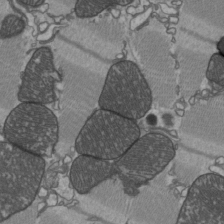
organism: C57BL Mouse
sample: Heart